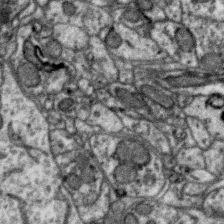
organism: Zebra finch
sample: Brain